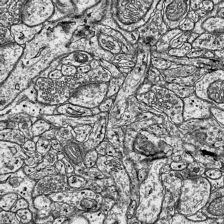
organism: Mouse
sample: Visual Cortex